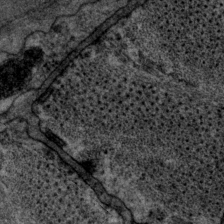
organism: P. pacificus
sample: Pharynx